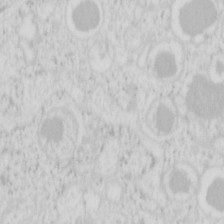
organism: Mouse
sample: Pancreas